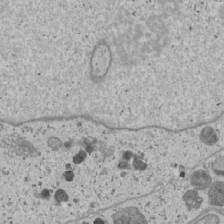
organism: Human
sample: Mitochondria in U2OS cells